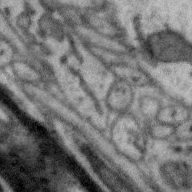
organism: Zebra finch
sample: Brain